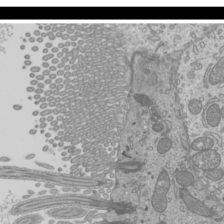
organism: Mouse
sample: Cilia; mouse epididymis